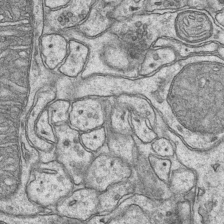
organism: Mouse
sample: CA1 Hippocampus